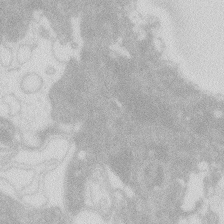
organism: Zebrafish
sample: Macrophage